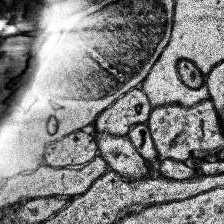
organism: Human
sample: Temporal Lobe